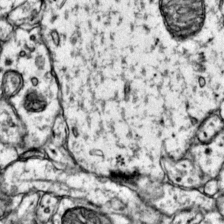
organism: Mouse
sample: Primary visual cortex